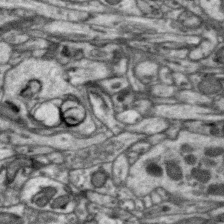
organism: Zebra finch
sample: Brain